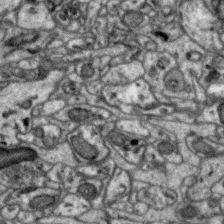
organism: Zebra finch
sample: Brain